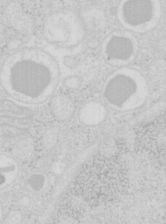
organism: Mouse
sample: Pancreas